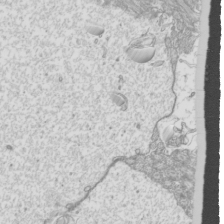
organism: Mouse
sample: Cilia; mouse epididymis